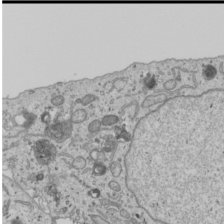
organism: Human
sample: Mitochondria in U2OS cells